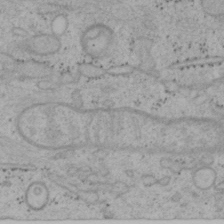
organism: Human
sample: HeLa cells